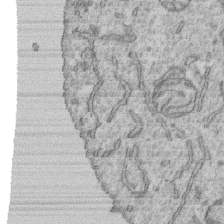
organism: Human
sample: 1205lu cells